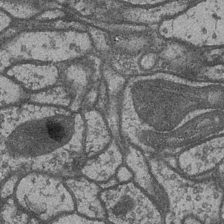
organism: Drosophila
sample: Optic medulla